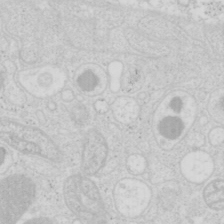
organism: Mouse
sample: Pancreas